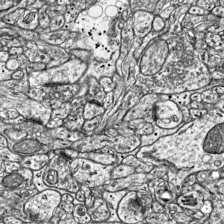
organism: Mouse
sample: Visual Cortex